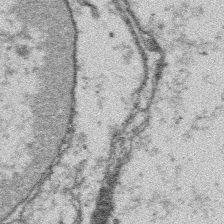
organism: Platynereis dumerilii